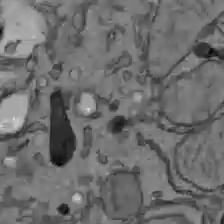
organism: C57BL Mouse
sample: Liver